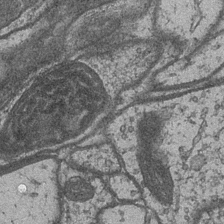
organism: Drosophila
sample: Optic medulla